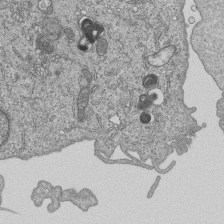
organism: Human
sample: MDA-MB-231 cells